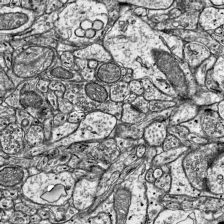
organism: Mouse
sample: Visual Cortex